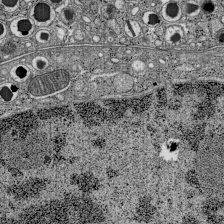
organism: C57BL Mouse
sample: Pancreatic islet